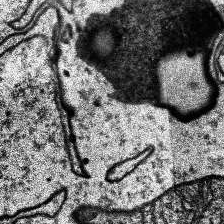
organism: Human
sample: Temporal Lobe